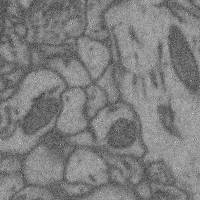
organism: Mouse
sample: Cerebral cortex